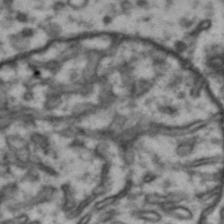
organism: Drosophila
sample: Brain